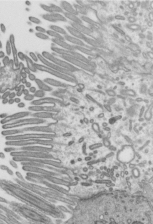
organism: Mouse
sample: Mouse epididymis efferent ductule cilia